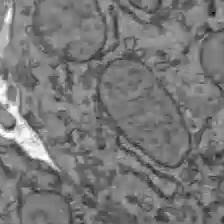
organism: C57BL Mouse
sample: Liver